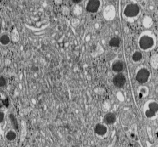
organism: C57BL Mouse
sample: Pancreatic islet